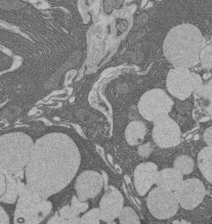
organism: Rat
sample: Salivary granule